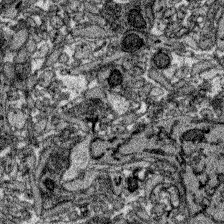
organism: Zebrafish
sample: Larval olfactory bulb